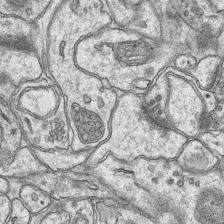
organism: Mouse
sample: CA1 Hippocampus